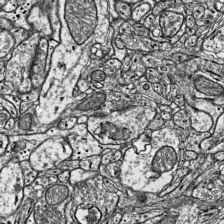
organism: Mouse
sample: Visual Cortex